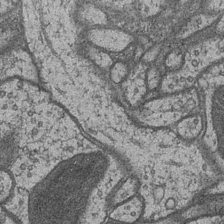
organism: Drosophila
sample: Optic medulla